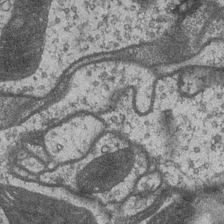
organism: Drosophila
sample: Optic medulla